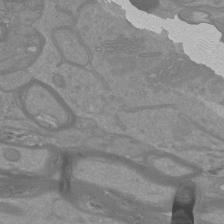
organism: Mouse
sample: Cortical neurons